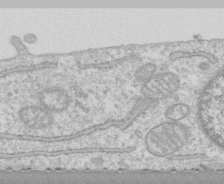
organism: Human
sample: CRL-1474